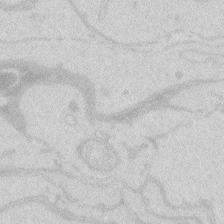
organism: Zebrafish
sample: Macrophage